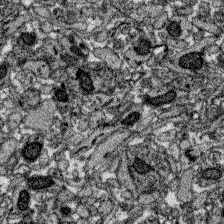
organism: Zebrafish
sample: Larval olfactory bulb